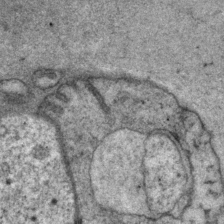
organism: P. pacificus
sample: Pharynx